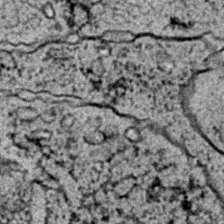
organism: C. elegans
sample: C. elegans embryo